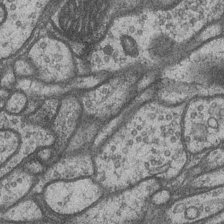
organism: Drosophila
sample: Optic medulla